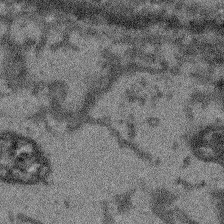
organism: Arabidopsis thaliana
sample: Root tip